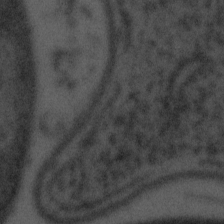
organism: Tuwongella immobilis